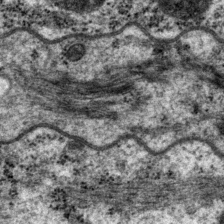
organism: P. pacificus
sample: Pharynx